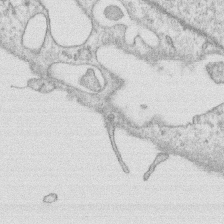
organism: Human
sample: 1205lu cells